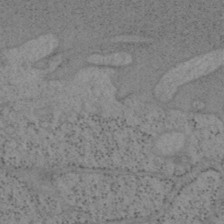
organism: Mouse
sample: OT-I killer T cells with ID8 ovarian cancer cells